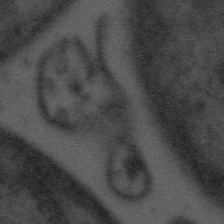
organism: Tuwongella immobilis